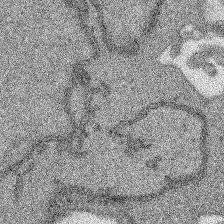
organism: Human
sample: HeLa cells